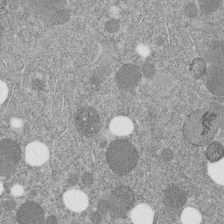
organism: C. elegans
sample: C. elegans embryo early stage